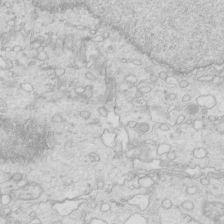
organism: Mouse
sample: Multiciliated cells